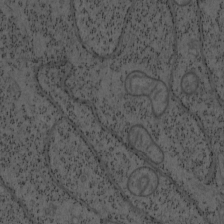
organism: Mouse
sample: OT-I killer T cells with ID8 ovarian cancer cells